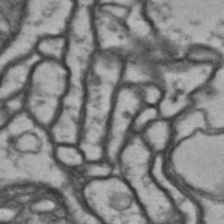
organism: Drosophila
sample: Brain